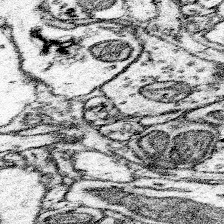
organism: Mouse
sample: Somatosensory cortex neuropil